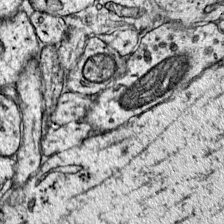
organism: Mouse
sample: Primary visual cortex